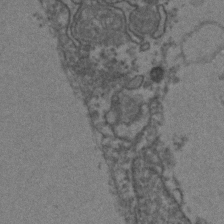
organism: Zebrafish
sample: Zebrafish embryo